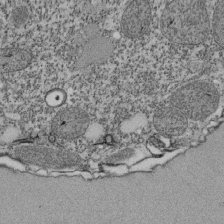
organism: Tetrahymena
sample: Cilia in tetrahymena